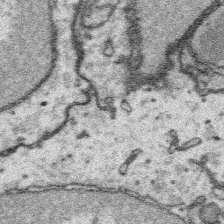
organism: Platynereis dumerilii